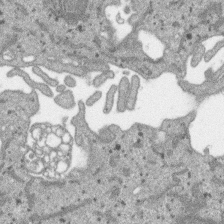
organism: Human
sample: Lung epithelial cells infected with SARS-CoV-2